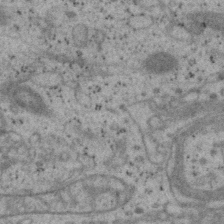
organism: Human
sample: HeLa cells